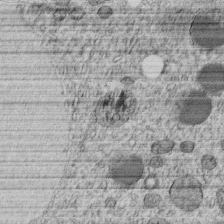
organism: C. elegans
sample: C. elegans embryo early stage